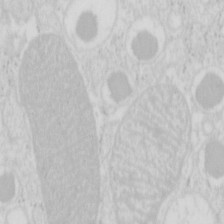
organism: Mouse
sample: Pancreas